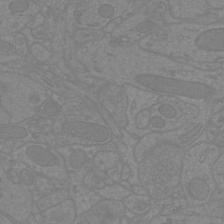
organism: Mouse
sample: Cortical neurons